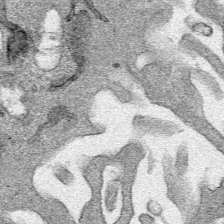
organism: Human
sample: Mitochondria in HCT116 cells